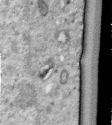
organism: Human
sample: Centriole in RPE cells